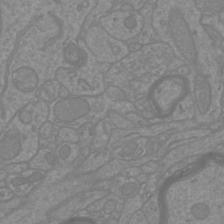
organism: Mouse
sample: Cortical neurons